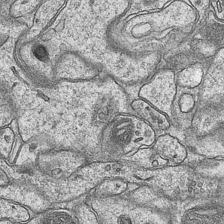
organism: Mouse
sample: CA1 Hippocampus